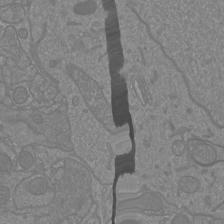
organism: Mouse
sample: Cortical neurons